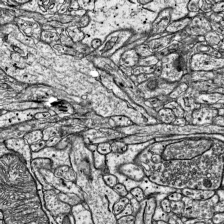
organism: Mouse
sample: Visual Cortex